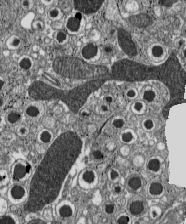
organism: C57BL Mouse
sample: Pancreatic islet